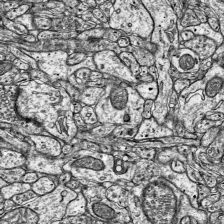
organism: Mouse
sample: Visual Cortex